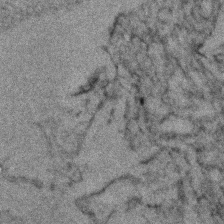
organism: Zebrafish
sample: Zebrafish embryo